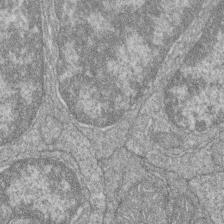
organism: Zebrafish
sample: Cilia; retinal pigment epithelium